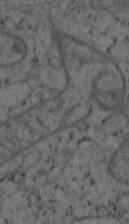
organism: Human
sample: HeLa cells